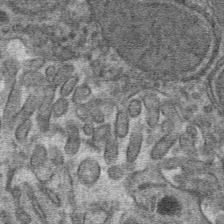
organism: Mouse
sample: Mouse hepatocytes